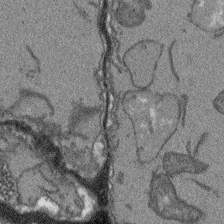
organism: Arabidopsis thaliana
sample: Root tip